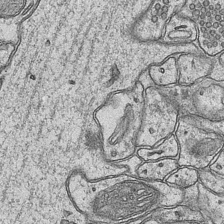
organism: Mouse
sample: CA1 Hippocampus